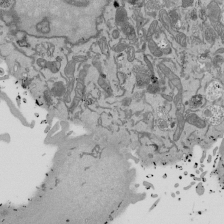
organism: Mouse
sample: ED-1 cell nuclei; centrioles